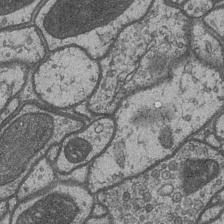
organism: Drosophila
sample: Optic medulla